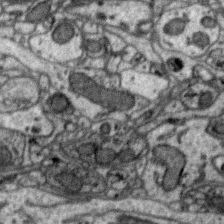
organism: Zebra finch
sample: Brain